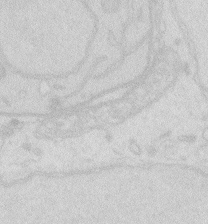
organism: Zebrafish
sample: Macrophage